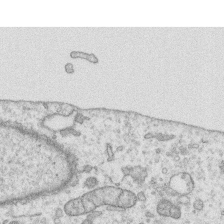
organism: Human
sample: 1205lu cells